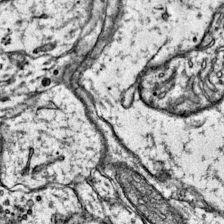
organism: Mouse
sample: Primary visual cortex